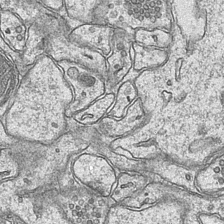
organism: Mouse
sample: CA1 Hippocampus